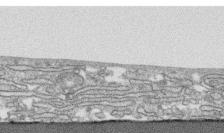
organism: Human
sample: CRL-1474